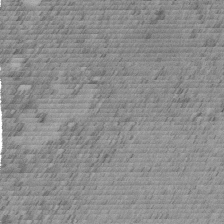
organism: C. elegans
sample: C. elegans embryo early stage